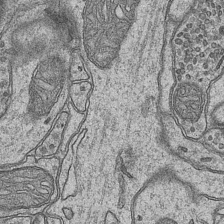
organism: Mouse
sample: CA1 Hippocampus